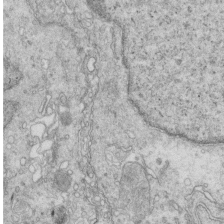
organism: Mouse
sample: Multiciliated cells